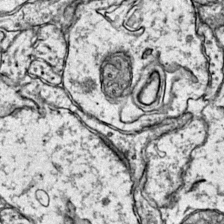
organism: Mouse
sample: Primary visual cortex